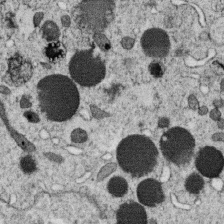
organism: C. elegans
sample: C. elegans oocyte; sperm cells